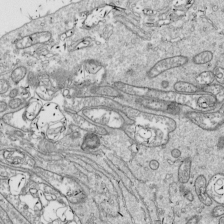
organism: Drosophila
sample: Cell division; meiosis; drosophila spermatocytes